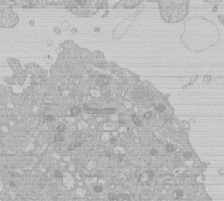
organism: Human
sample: Macrophage cells